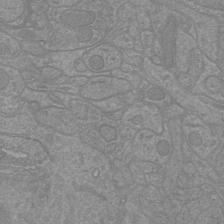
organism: Mouse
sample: Cortical neurons